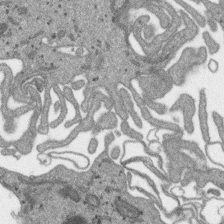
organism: Human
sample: Lung epithelial cells infected with SARS-CoV-2